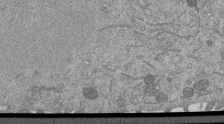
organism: Mouse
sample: ED-1 cell nuclei; centrioles